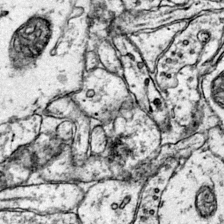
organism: Mouse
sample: Primary visual cortex